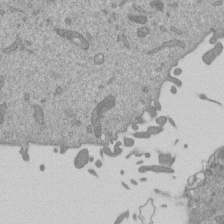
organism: Mouse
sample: ED-1 cell nuclei; centrioles